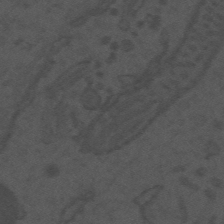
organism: Mouse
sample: Suprachiasmatic nucleus